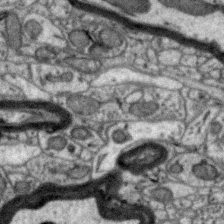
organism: Zebra finch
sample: Brain